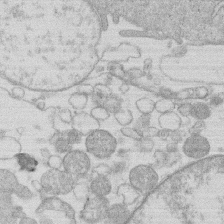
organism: Human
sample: Macrophage cells